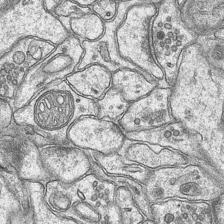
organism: Mouse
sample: CA1 Hippocampus